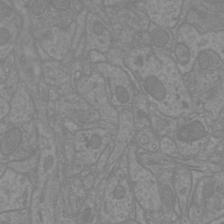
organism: Mouse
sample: Cortical neurons